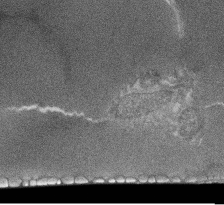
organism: Tetrahymena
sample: Cilia in tetrahymena